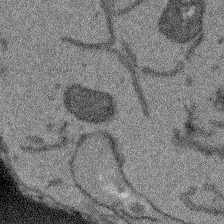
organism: Arabidopsis thaliana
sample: Root tip